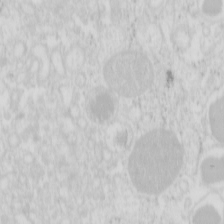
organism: Mouse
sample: Pancreas